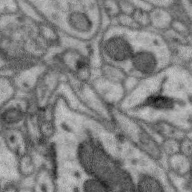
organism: Zebra finch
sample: Brain